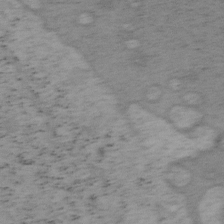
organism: Mouse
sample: OT-I killer T cells with ID8 ovarian cancer cells